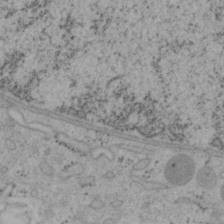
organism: Human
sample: HeLa cells